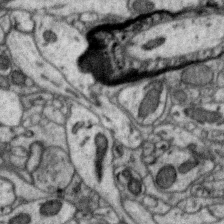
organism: Zebra finch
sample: Brain